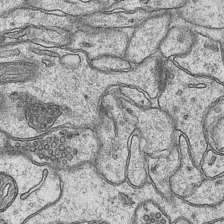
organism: Mouse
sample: CA1 Hippocampus